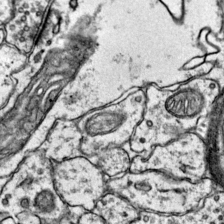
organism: Mouse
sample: Primary visual cortex